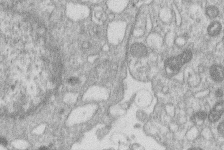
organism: Human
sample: Macrophage cells